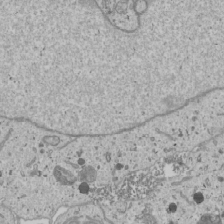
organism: Human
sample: Mitochondria in U2OS cells